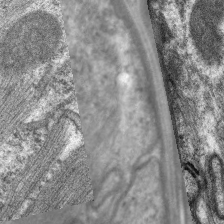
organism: C. elegans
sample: Pharynx